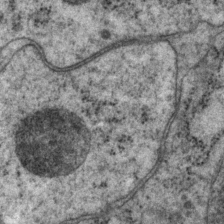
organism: P. pacificus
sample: Pharynx